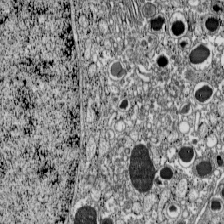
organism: C57BL Mouse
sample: Pancreatic islet